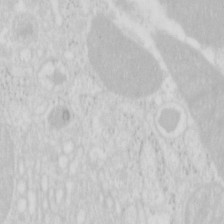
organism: Mouse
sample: Pancreas